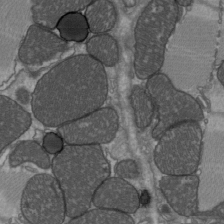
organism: C57BL Mouse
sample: Heart